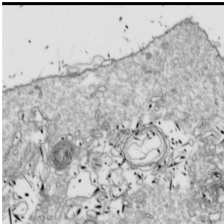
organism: Drosophila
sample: Cell division; meiosis; drosophila spermatocytes